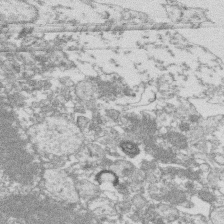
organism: Human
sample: HeLa cell HIV synapse